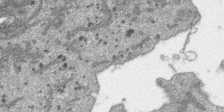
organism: Human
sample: Lung epithelial cells infected with SARS-CoV-2